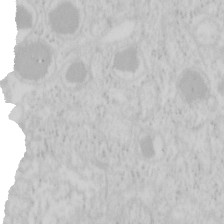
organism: Mouse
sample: Pancreas